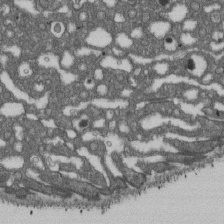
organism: Drosophila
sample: Nephrocyte